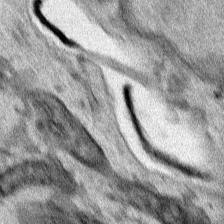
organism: Human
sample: Mitochondria in HCT116 cells